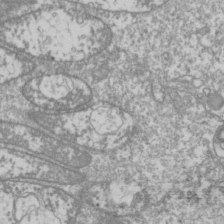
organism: Drosophila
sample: Cell division; meiosis; drosophila spermatocytes